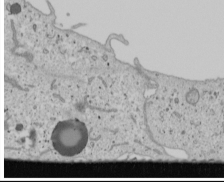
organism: Human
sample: Mitochondria in U2OS cells